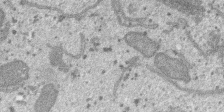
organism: Human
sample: Lung epithelial cells infected with SARS-CoV-2